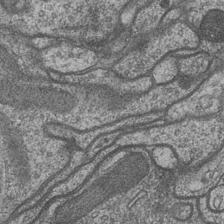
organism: Drosophila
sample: Optic medulla